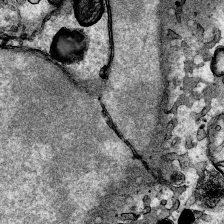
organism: Human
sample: Mitochondria in HCT116 cells